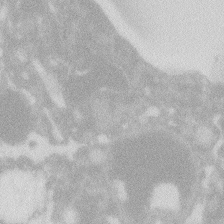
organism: Zebrafish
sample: Macrophage